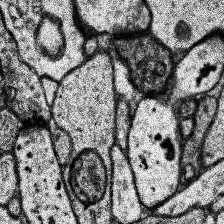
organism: Human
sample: Temporal Lobe